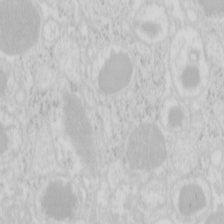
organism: Mouse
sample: Pancreas